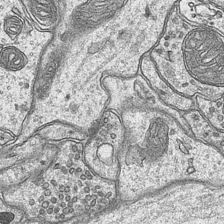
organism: Mouse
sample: CA1 Hippocampus